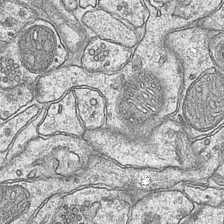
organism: Mouse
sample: CA1 Hippocampus